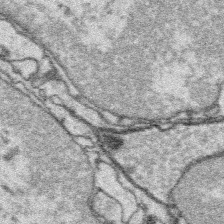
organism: Platynereis dumerilii